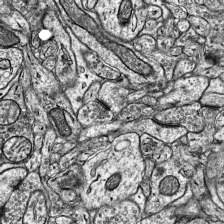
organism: Mouse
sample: Visual Cortex